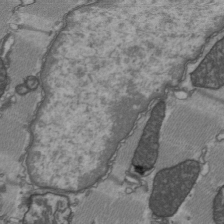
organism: C57BL Mouse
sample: Heart